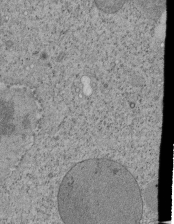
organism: Tetrahymena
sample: Cilia in tetrahymena